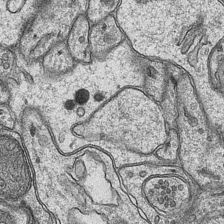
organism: Mouse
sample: CA1 Hippocampus